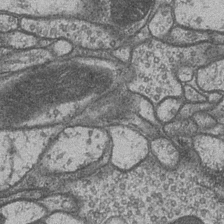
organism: Drosophila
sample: Optic medulla